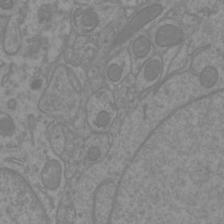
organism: Mouse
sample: Cortical neurons